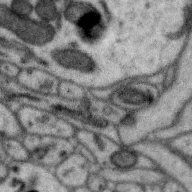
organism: Zebra finch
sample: Brain